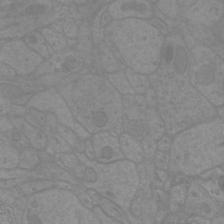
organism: Mouse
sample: Cortical neurons